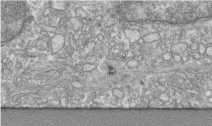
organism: Human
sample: Centriole in RPE cells